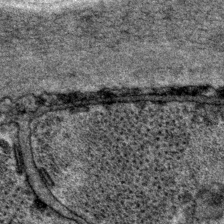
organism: P. pacificus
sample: Pharynx